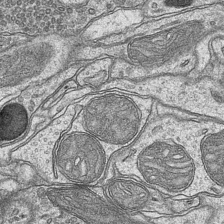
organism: Mouse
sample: CA1 Hippocampus